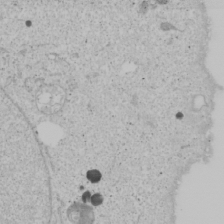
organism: Human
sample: Mitochondria in U2OS cells